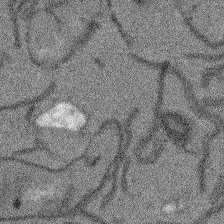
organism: Arabidopsis thaliana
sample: Root tip